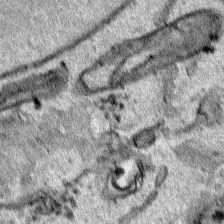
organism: Human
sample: Mitochondria in HCT116 cells